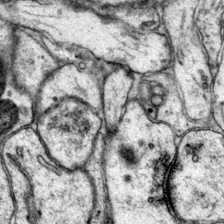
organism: Mouse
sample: Primary visual cortex